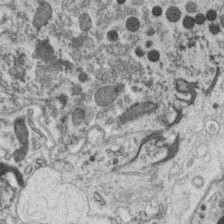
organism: C. elegans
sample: C. elegans oocyte; sperm cells